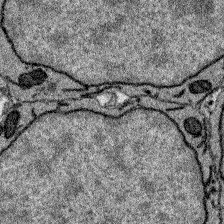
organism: Zebrafish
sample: Larval olfactory bulb